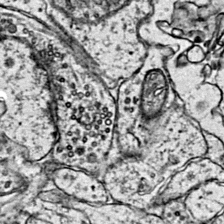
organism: Mouse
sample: Primary visual cortex